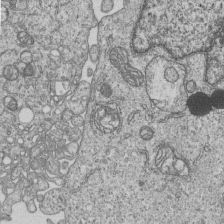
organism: Human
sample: MDA-MB-231 cells